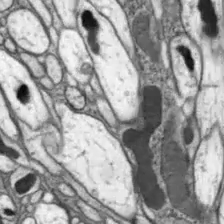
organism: Drosophila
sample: Optic lobe